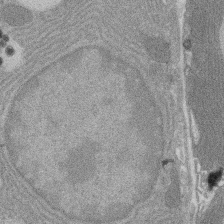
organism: Rat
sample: Salivary granule